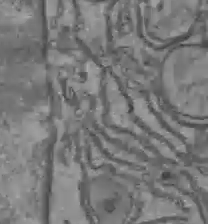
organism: C57BL Mouse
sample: Liver